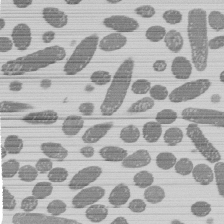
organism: E. coli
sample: Bacterial nucleoid